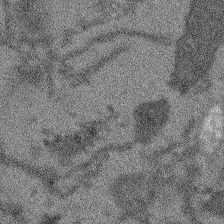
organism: Arabidopsis thaliana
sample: Root tip